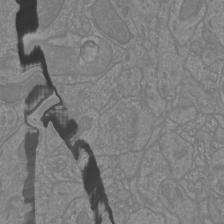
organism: Mouse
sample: Cortical neurons